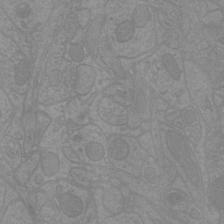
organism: Mouse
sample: Cortical neurons